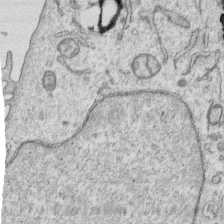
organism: Human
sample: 1205lu cells